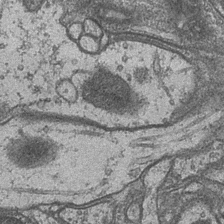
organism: Drosophila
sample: Optic medulla